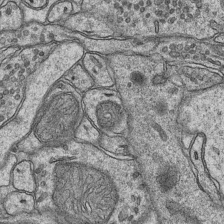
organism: Mouse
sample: CA1 Hippocampus